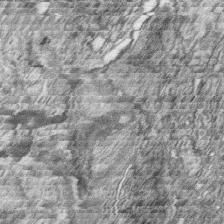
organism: Zebrafish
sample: synaptic ribbons in rod cells and cone cells